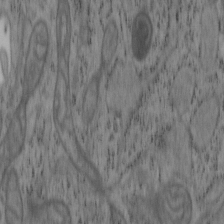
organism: Human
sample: HeLa cells